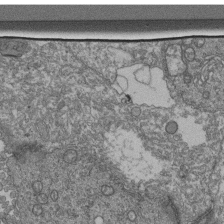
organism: Human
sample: Retinal organoid Rod and Cone cells